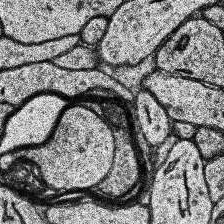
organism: Human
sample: Temporal Lobe